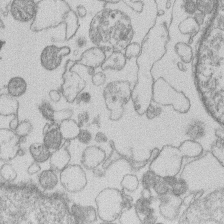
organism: Human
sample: Macrophage cells